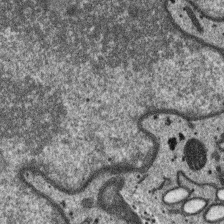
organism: Human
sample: Lung epithelial cells infected with SARS-CoV-2